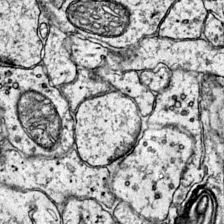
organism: Mouse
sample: Primary visual cortex